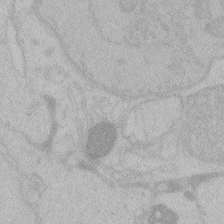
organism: Zebrafish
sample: Macrophage infected with Toxoplasma gondii